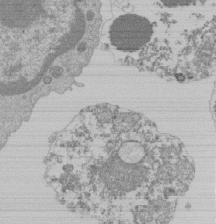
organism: Mouse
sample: Activated Pmel transgenic CD8+ T Cells